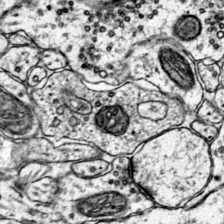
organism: Mouse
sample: Primary visual cortex